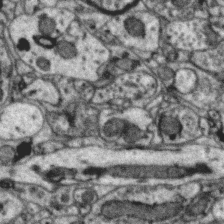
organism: Zebra finch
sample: Brain